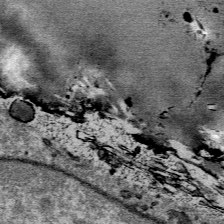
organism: Mouse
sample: Mouse Salivary gland